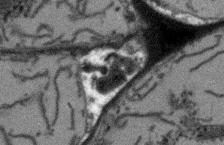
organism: Arabidopsis thaliana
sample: Root tip